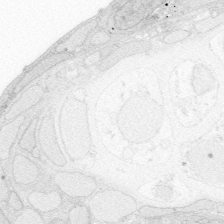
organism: Zebrafish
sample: Whole-Brain